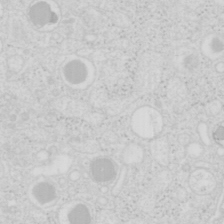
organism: Mouse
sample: Pancreas